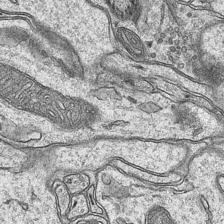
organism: Mouse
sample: CA1 Hippocampus